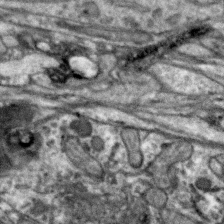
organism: Zebra finch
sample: Brain